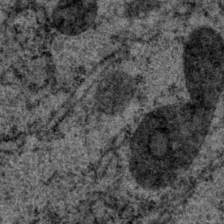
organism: P. pacificus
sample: Pharynx